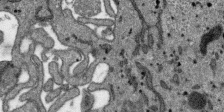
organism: Human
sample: Lung epithelial cells, uninfected (mock) control